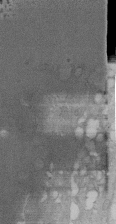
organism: Human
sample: Melanocyte Keratinocyte synapse skin construct